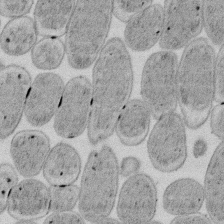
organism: E. coli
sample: Bacterial nucleoid